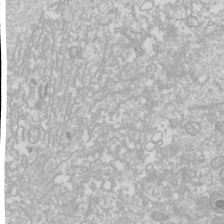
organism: Drosophila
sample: Cell division; meiosis; drosophila spermatocytes